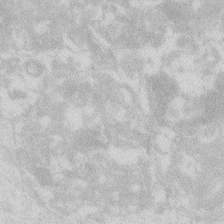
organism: Zebrafish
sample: Macrophage